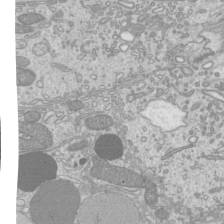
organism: Mouse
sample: Cilia; mouse epididymis